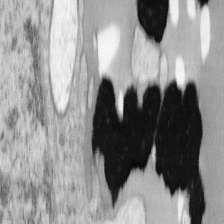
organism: Human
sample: HeLa cells